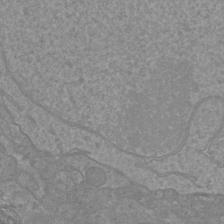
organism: Mouse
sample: Cortical neurons